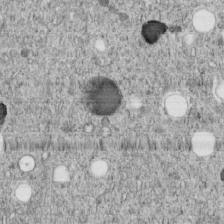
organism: C. elegans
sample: C. elegans embryo early stage